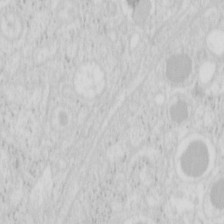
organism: Mouse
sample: Pancreas